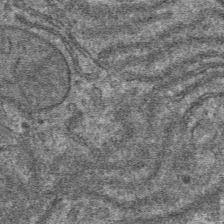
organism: Mouse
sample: Mouse hepatocytes